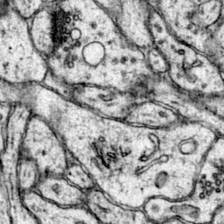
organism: Mouse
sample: Primary visual cortex